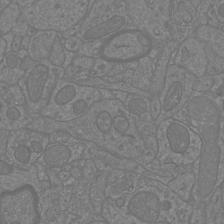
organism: Mouse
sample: Cortical neurons